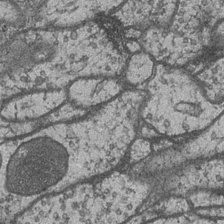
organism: Drosophila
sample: Optic medulla